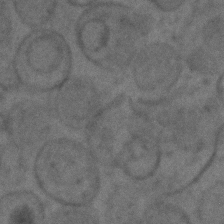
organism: C. elegans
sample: C. elegans embryo